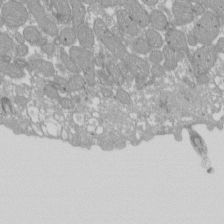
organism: Xenopus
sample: Cilia; centrioles in frog embryo cells